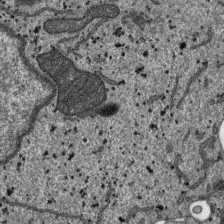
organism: Human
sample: Lung epithelial cells infected with SARS-CoV-2